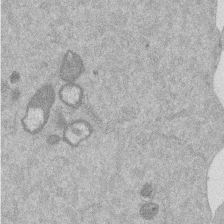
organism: Mouse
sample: Dividing mouse embryo 1 cell stage